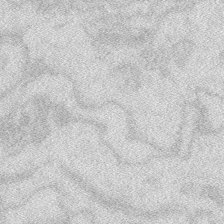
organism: Zebrafish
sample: Macrophage